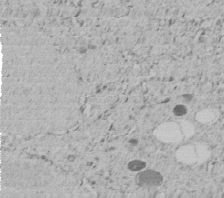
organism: C. elegans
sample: C. elegans embryo early stage